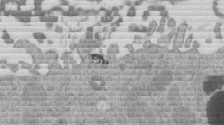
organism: Mouse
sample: Dividing mouse embryo 1 cell stage